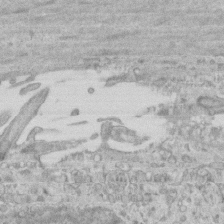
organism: Mouse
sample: Centriole in ependymal cells